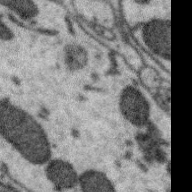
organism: Zebra finch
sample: Brain